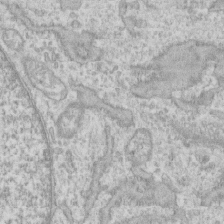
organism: Human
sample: CRL-1474